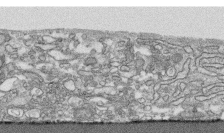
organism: Human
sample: CRL-1474